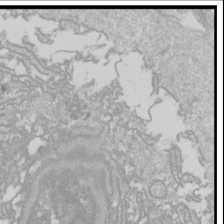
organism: Drosophila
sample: Cell division; meiosis; drosophila spermatocytes